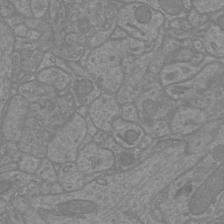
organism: Mouse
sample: Cortical neurons